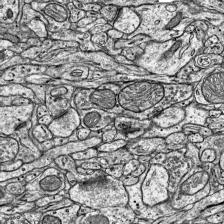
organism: Mouse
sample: Visual Cortex